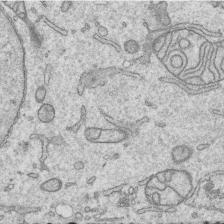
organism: Human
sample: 1205lu cells